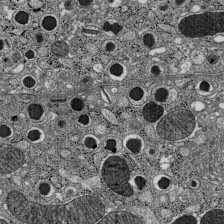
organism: C57BL Mouse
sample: Pancreatic islet